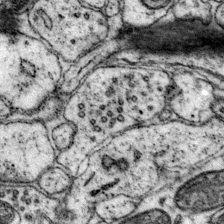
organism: Mouse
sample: Primary visual cortex